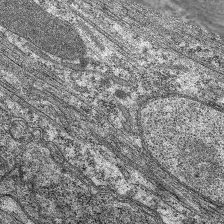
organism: C. elegans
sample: Pharynx